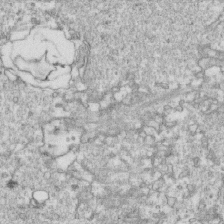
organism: Mouse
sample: Activated OT-1 CD8+ T cells